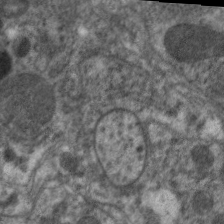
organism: C. elegans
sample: Pharynx